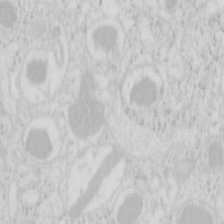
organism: Mouse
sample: Pancreas